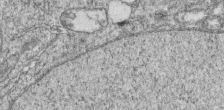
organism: Human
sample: HeLa cell HIV synapse